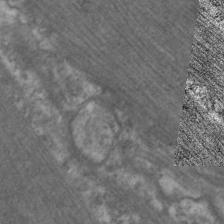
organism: C. elegans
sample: Pharynx